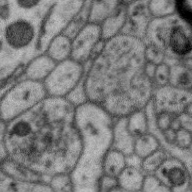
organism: Zebra finch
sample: Brain